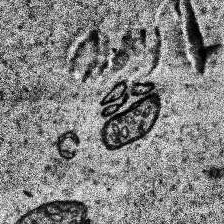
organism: Human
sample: Temporal Lobe